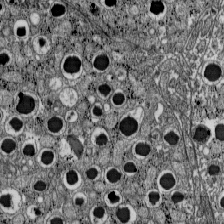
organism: C57BL Mouse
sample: Pancreatic islet